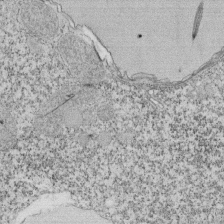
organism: Tetrahymena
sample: Cilia in tetrahymena